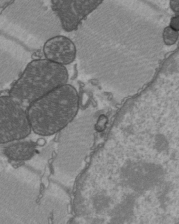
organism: C57BL Mouse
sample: Heart